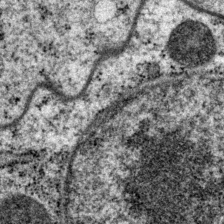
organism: P. pacificus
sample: Pharynx